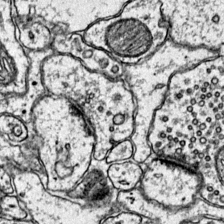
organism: Mouse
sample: Primary visual cortex